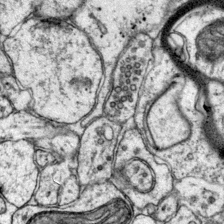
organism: Mouse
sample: Primary visual cortex